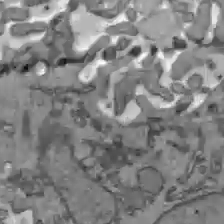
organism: C57BL Mouse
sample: Liver